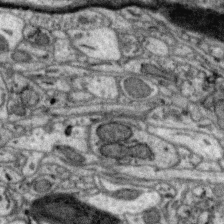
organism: Zebra finch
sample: Brain